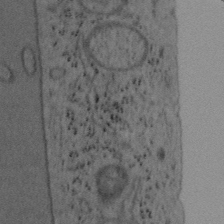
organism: Human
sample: HeLa cells